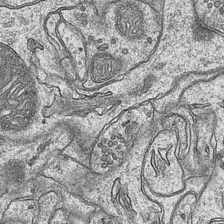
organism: Mouse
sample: CA1 Hippocampus